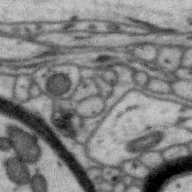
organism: Zebra finch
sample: Brain